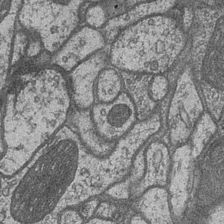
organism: Drosophila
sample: Optic medulla